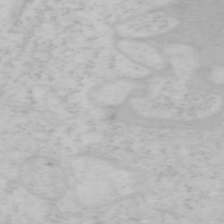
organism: Mouse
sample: OT-I killer T cells with ID8 ovarian cancer cells